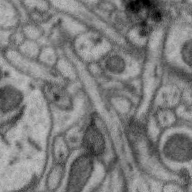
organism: Zebra finch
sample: Brain